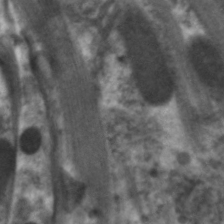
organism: C. elegans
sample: Pharynx